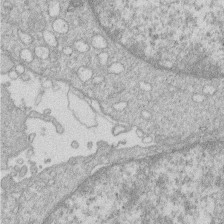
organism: Human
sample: Macrophage cells